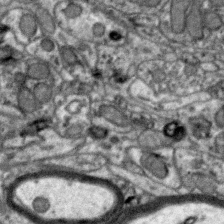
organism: Zebra finch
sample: Brain